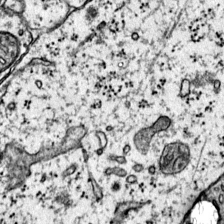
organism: Mouse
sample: Primary visual cortex